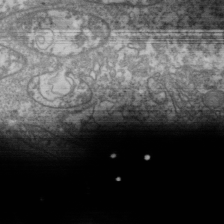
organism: Drosophila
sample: Cell division; meiosis; drosophila spermatocytes